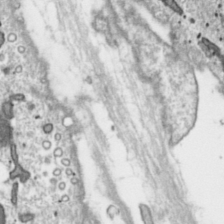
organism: Toxoplasma gondii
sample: Parasites in a vacuole inside a host cell